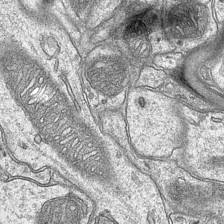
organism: Mouse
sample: CA1 Hippocampus